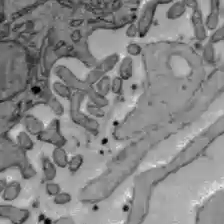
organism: C57BL Mouse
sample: Liver